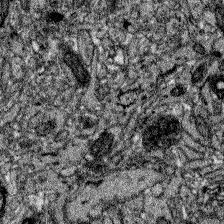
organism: Zebrafish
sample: Larval olfactory bulb